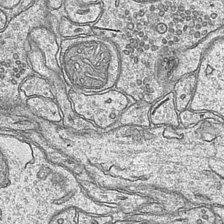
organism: Mouse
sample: CA1 Hippocampus